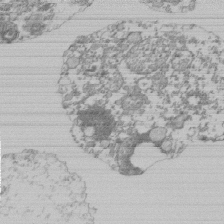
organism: Mouse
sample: Activated Pmel transgenic CD8+ T Cells